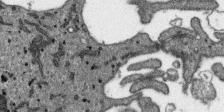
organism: Human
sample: Lung epithelial cells, uninfected (mock) control